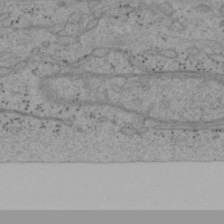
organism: Human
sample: HeLa cells